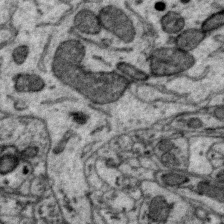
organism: Zebra finch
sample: Brain